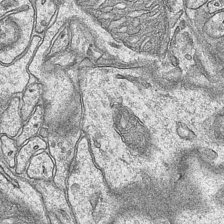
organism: Mouse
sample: CA1 Hippocampus